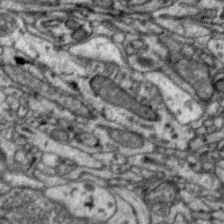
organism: Zebra finch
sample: Brain